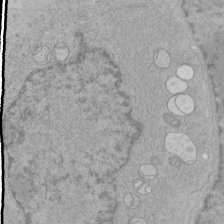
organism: Human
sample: Mitochondria in HCT116 cells